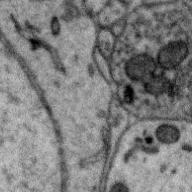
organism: Zebra finch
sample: Brain